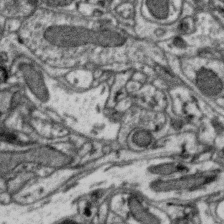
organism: Zebra finch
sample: Brain